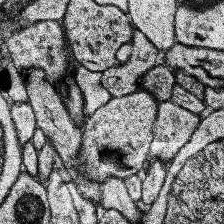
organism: Human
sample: Temporal Lobe